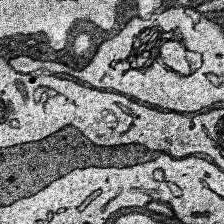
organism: Human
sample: Temporal Lobe